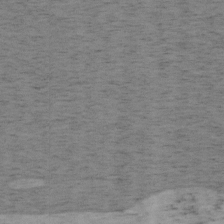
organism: Mouse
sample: OT-I killer T cells with ID8 ovarian cancer cells